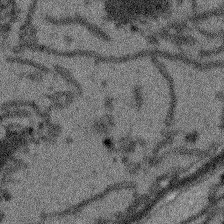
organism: Arabidopsis thaliana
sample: Root tip